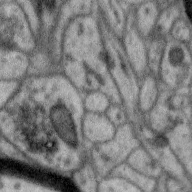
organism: Zebra finch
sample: Brain